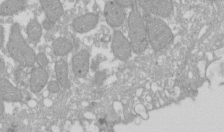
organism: Xenopus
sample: Cilia; centrioles in frog embryo cells